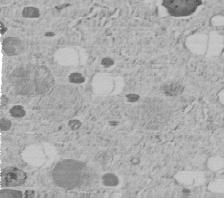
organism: C. elegans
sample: C. elegans embryo early stage